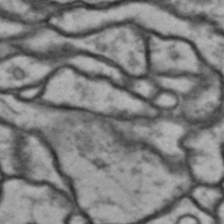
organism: Drosophila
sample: Brain